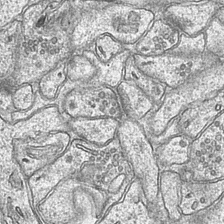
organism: Mouse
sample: CA1 Hippocampus